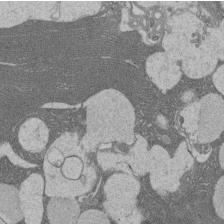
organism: Rat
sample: Salivary granule